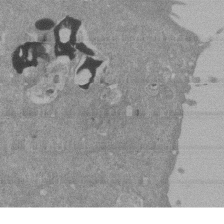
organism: Mouse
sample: ED-1 cell nuclei; centrioles